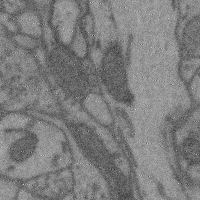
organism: Mouse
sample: Cerebral cortex